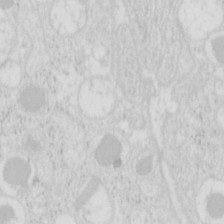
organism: Mouse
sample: Pancreas